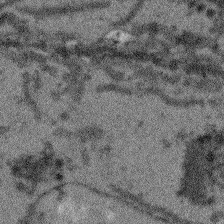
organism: Arabidopsis thaliana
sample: Root tip